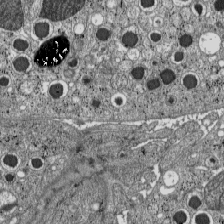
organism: C57BL Mouse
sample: Pancreatic islet